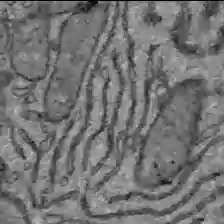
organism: C57BL Mouse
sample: Liver